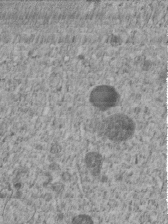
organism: C. elegans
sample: C. elegans embryo early stage